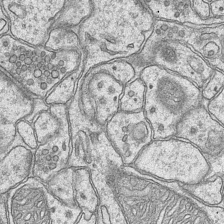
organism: Mouse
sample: CA1 Hippocampus